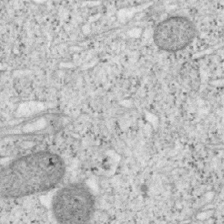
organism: Mouse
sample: OT-I killer T cells with ID8 ovarian cancer cells